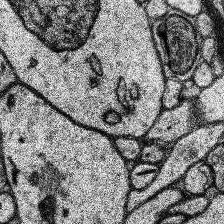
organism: Human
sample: Temporal Lobe